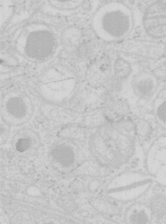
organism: Mouse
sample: Pancreas